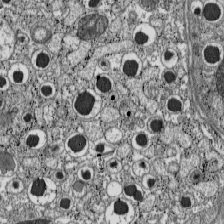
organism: C57BL Mouse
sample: Pancreatic islet